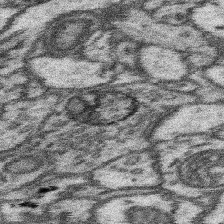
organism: Mouse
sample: Somatosensory cortex neuropil